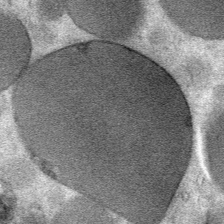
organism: Mouse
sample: Mouse Salivary gland